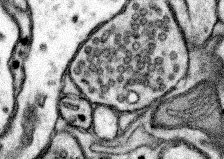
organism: Mouse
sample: Somatosensory cortex neuropil